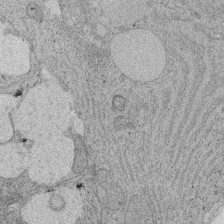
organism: Rat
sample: Salivary granule